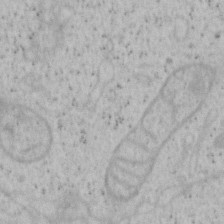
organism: Human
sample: HeLa cells